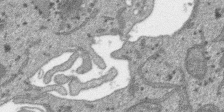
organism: Human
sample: Lung epithelial cells infected with SARS-CoV-2